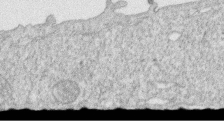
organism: Human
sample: HeLa cell HIV synapse